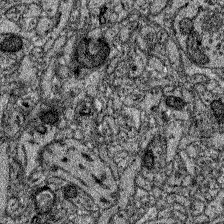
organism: Zebrafish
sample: Larval olfactory bulb